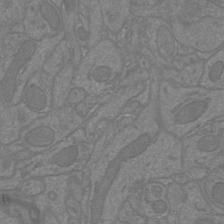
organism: Mouse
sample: Cortical neurons